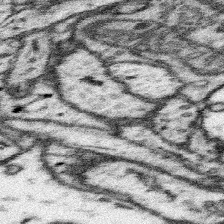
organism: Mouse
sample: Somatosensory cortex neuropil